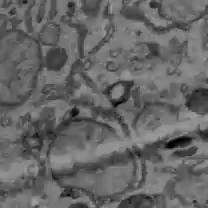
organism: C57BL Mouse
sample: Liver